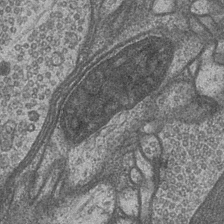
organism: Drosophila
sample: Optic medulla